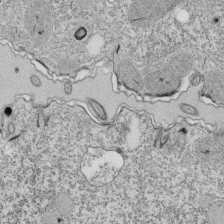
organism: Tetrahymena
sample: Cilia in tetrahymena